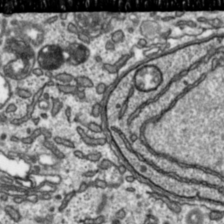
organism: Toxoplasma gondii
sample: Parasites in a vacuole inside a host cell